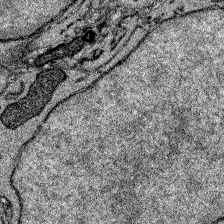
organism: Zebrafish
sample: Larval olfactory bulb